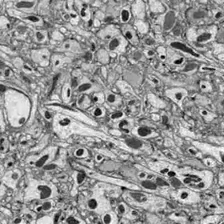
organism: Drosophila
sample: Optic lobe